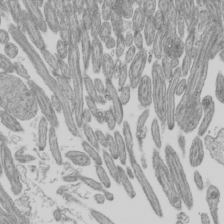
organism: Mouse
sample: Cilia; mouse epididymis